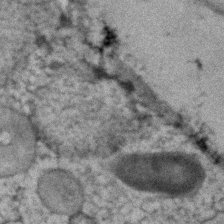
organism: Human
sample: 1205lu cells